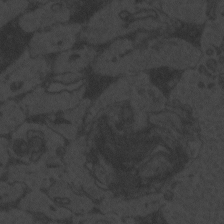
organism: Zebrafish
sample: Macrophage infected with Toxoplasma gondii